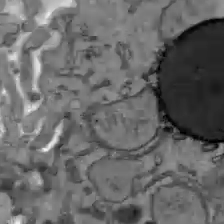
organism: C57BL Mouse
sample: Liver